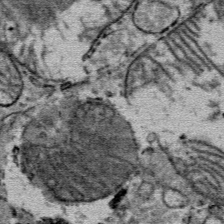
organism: Mouse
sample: Mouse Salivary gland